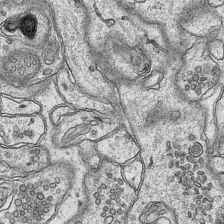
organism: Mouse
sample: CA1 Hippocampus